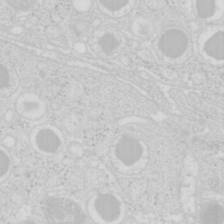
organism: Mouse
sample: Pancreas